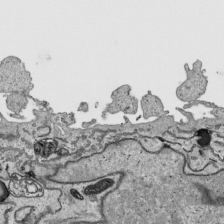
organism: Human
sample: Mitochondria in HCT116 cells